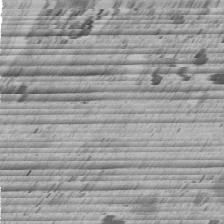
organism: C. elegans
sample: C. elegans embryo early stage